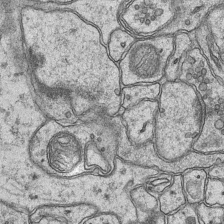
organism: Mouse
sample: CA1 Hippocampus